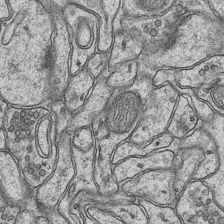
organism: Mouse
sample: CA1 Hippocampus